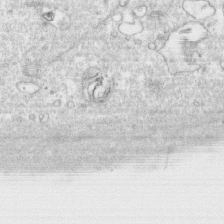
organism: Human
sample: CRL-1474